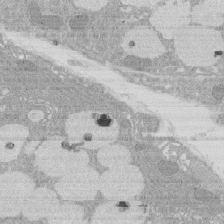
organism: Rat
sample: Salivary granule